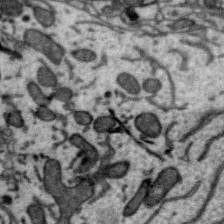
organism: Zebra finch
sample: Brain